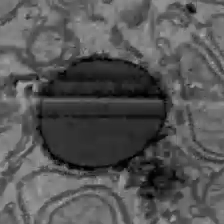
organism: C57BL Mouse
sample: Liver